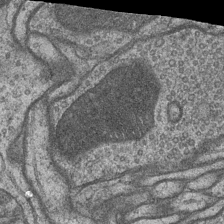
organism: Drosophila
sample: Optic medulla